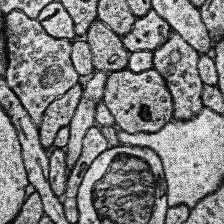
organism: Human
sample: Temporal Lobe